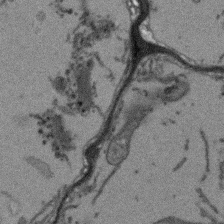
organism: Arabidopsis thaliana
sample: Root tip